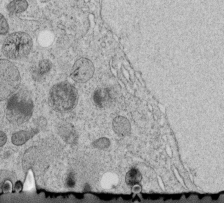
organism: C. elegans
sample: C. elegans embryo early stage